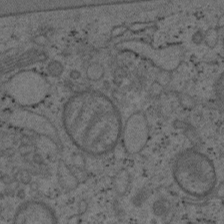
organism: Human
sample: HeLa cells